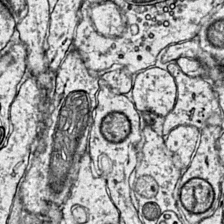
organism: Mouse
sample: Primary visual cortex